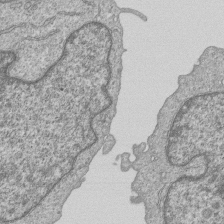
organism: Human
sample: MDA-MB-231 cells